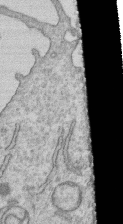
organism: Human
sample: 1205lu cells